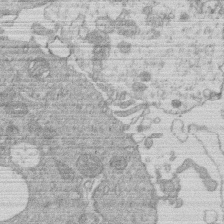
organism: Human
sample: Macrophage cells